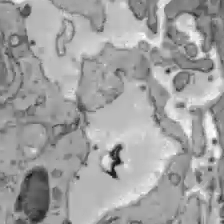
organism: C57BL Mouse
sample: Liver